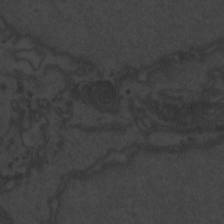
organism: Zebrafish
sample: Macrophage infected with Toxoplasma gondii